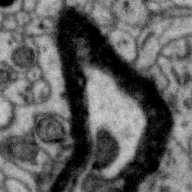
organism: Zebra finch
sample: Brain